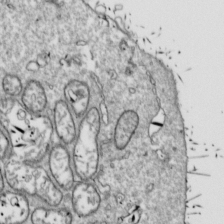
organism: Drosophila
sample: Cell division; meiosis; drosophila spermatocytes